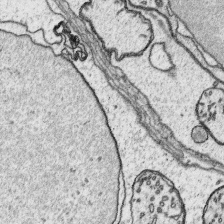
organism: Platynereis dumerilii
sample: Parapodia